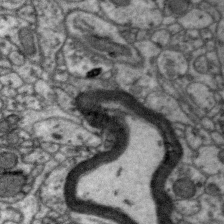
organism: Zebra finch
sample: Brain